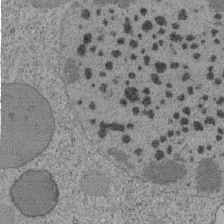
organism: Tetrahymena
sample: Cilia in tetrahymena